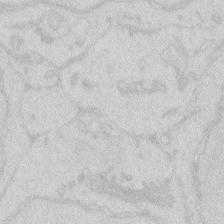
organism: Zebrafish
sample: Macrophage